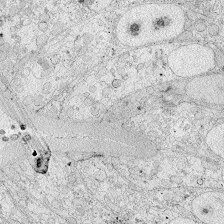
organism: Zebrafish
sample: Whole-Brain